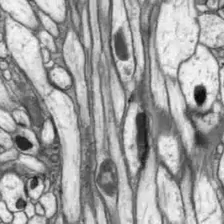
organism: Drosophila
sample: Optic lobe